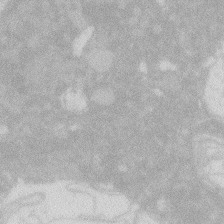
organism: Zebrafish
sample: Macrophage